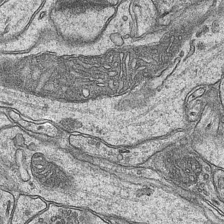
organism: Mouse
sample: CA1 Hippocampus